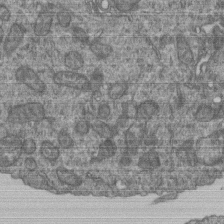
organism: Human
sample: Retinal organoid Rod and Cone cells